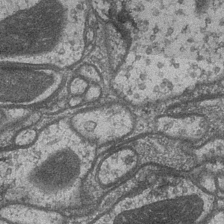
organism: Drosophila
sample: Optic medulla